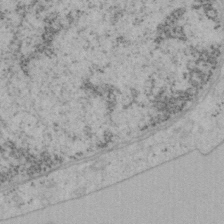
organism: Human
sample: HeLa cells